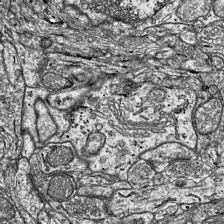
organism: Mouse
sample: Visual Cortex